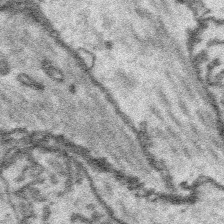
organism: Platynereis dumerilii